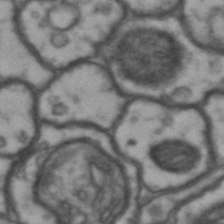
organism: Drosophila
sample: Brain